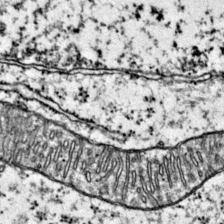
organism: Mouse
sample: Primary visual cortex